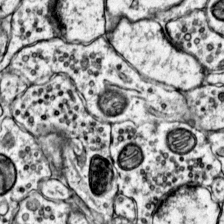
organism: Mouse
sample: Primary visual cortex